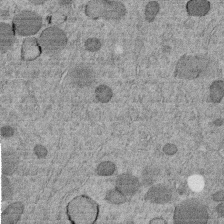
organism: C. elegans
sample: C. elegans embryo early stage